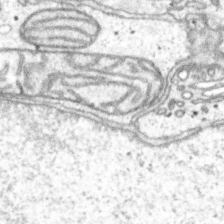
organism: Human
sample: HeLa cells